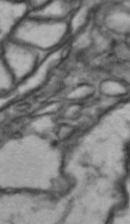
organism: Drosophila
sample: Brain